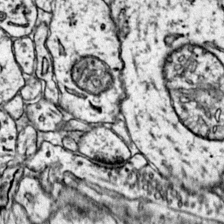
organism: Mouse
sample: Primary visual cortex